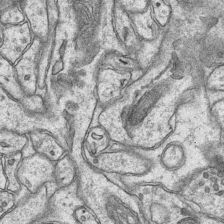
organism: Mouse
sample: CA1 Hippocampus